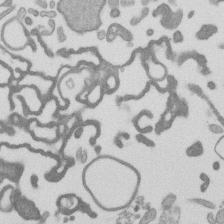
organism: Mouse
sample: Dividing mouse embryo 1 cell stage